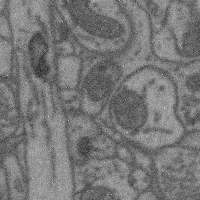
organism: Mouse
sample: Cerebral cortex